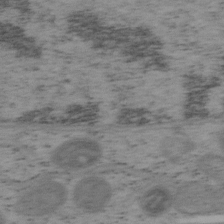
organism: Mouse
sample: OT-I killer T cells with ID8 ovarian cancer cells